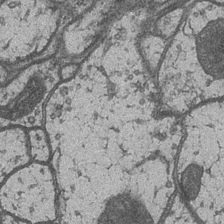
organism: Drosophila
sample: Optic medulla